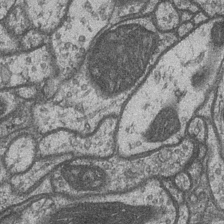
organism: Drosophila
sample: Optic medulla